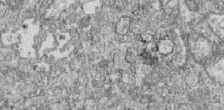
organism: Human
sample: HeLa cell HIV synapse